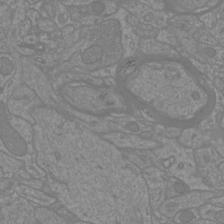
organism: Mouse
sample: Cortical neurons